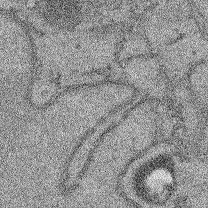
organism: Human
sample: HeLa cells